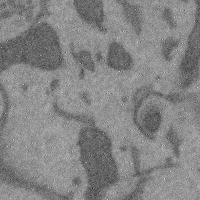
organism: Mouse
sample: Cerebral cortex